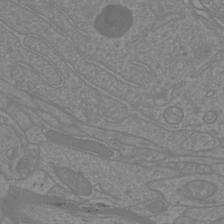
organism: Mouse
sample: Cortical neurons